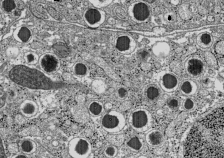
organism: C57BL Mouse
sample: Pancreatic islet